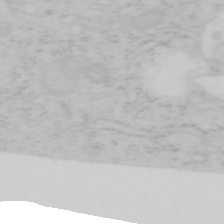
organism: Mouse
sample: OT-I killer T cells with ID8 ovarian cancer cells